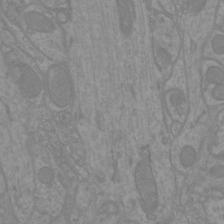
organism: Mouse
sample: Cortical neurons